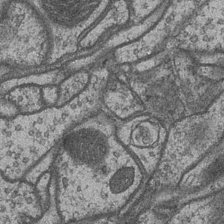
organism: Drosophila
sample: Optic medulla